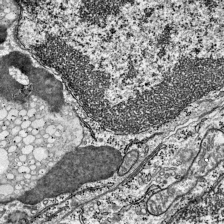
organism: Mouse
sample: Visual Cortex